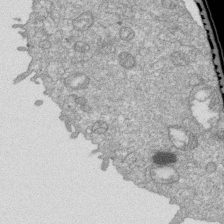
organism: Human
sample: HeLa cell HIV synapse